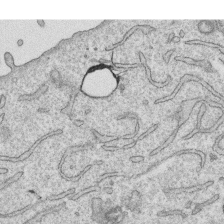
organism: Human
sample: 1205lu cells